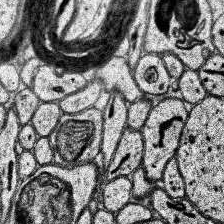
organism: Human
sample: Temporal Lobe